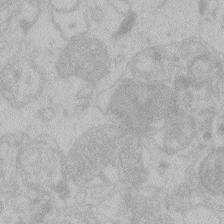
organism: Zebrafish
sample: Macrophage infected with Toxoplasma gondii